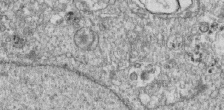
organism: Human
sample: HeLa cell HIV synapse